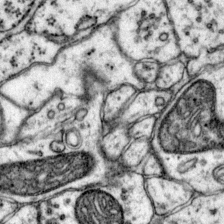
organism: Mouse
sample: Primary visual cortex